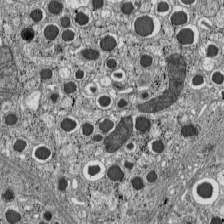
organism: C57BL Mouse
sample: Pancreatic islet